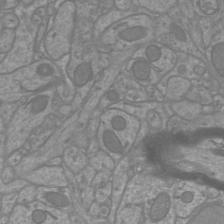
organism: Mouse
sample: Cortical neurons